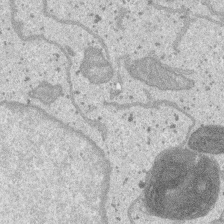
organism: Human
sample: Lung epithelial cells infected with SARS-CoV-2